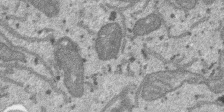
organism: Human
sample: Lung epithelial cells infected with SARS-CoV-2